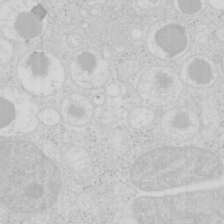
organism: Mouse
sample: Pancreas